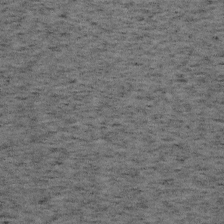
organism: Mouse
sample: OT-I killer T cells with ID8 ovarian cancer cells